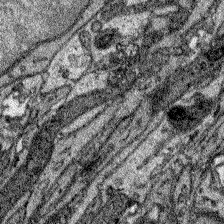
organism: Zebrafish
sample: Larval olfactory bulb